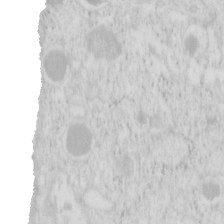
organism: Mouse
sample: Pancreas